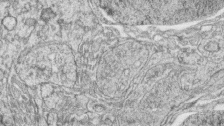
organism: Zebrafish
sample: synaptic ribbons in rod cells and cone cells